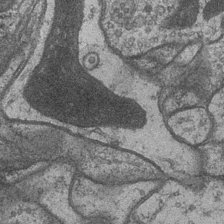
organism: Drosophila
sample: Optic medulla